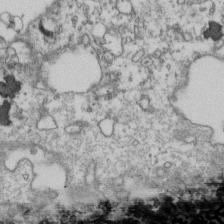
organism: Human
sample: Activated Jurkat CD4+ T cells